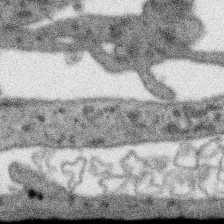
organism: Human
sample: Lung epithelial cells infected with SARS-CoV-2